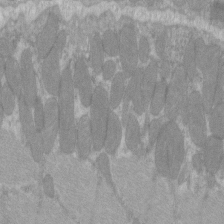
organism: C57BL Mouse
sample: Tibialis anterior muscle cell